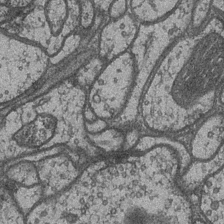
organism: Drosophila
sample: Optic medulla